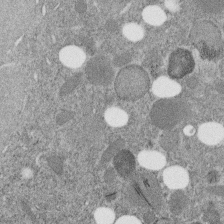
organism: C. elegans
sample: C. elegans embryo early stage